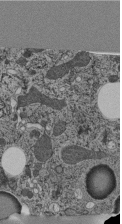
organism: C. elegans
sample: C. elegans pharynx